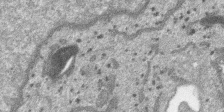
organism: Human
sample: Lung epithelial cells infected with SARS-CoV-2